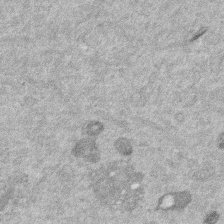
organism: Mouse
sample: Dividing mouse embryo 1 cell stage